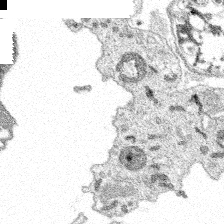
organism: Spongilla lacustris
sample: Multiple